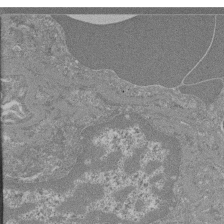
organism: Mouse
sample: Glomerulus